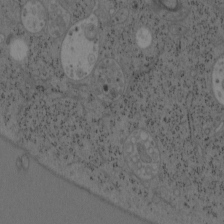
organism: Mouse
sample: OT-I killer T cells with ID8 ovarian cancer cells